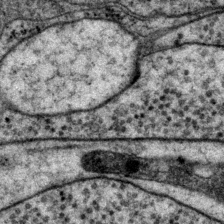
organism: P. pacificus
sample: Pharynx